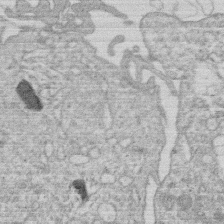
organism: Human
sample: Macrophage cells